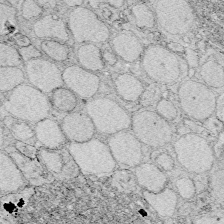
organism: Zebrafish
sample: Whole-Brain